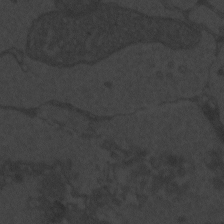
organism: Zebrafish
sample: Macrophage infected with Toxoplasma gondii